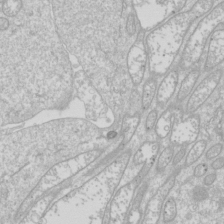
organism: Drosophila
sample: Cell division; meiosis; drosophila spermatocytes